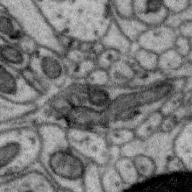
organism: Zebra finch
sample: Brain